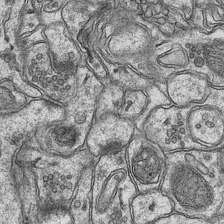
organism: Mouse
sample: CA1 Hippocampus